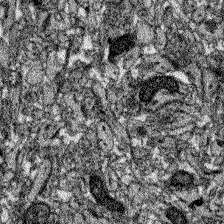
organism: Zebrafish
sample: Larval olfactory bulb